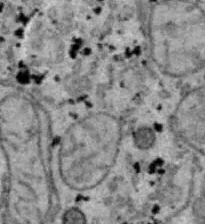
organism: Mouse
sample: Liver from an obese (ob/ob) mouse